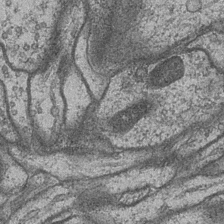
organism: Drosophila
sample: Optic medulla